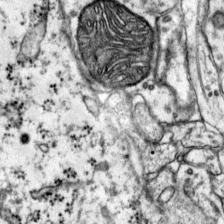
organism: Mouse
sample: Primary visual cortex